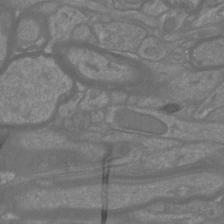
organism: Mouse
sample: Cortical neurons